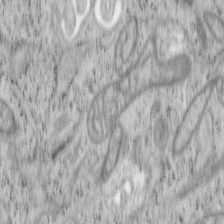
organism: Human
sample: HeLa cells